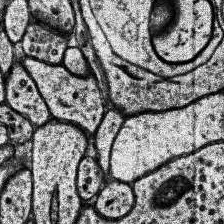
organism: Human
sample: Temporal Lobe